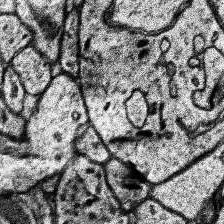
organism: Human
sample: Temporal Lobe